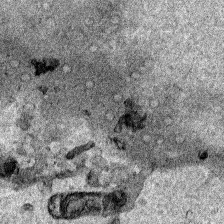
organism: Human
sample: Mitochondria in HCT116 cells